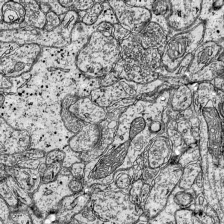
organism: Mouse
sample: Visual Cortex